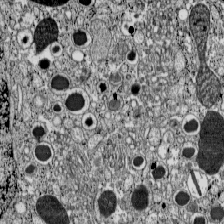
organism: C57BL Mouse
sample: Pancreatic islet